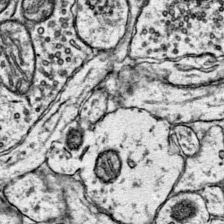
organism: Mouse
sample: Primary visual cortex